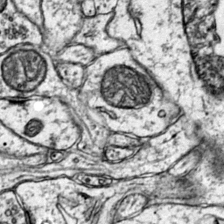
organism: Mouse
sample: Primary visual cortex